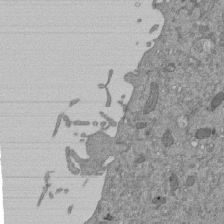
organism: Mouse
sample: ED-1 cell nuclei; centrioles